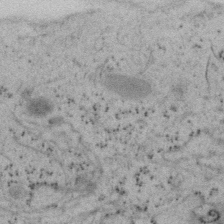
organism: Human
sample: HeLa cells